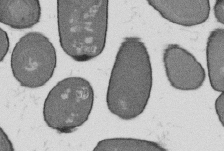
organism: B. subtilis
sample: Bacterial spore